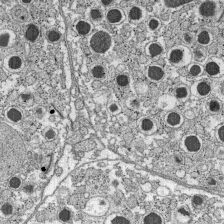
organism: C57BL Mouse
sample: Pancreatic islet